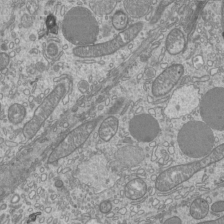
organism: Mouse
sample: Cilia; mouse epididymis